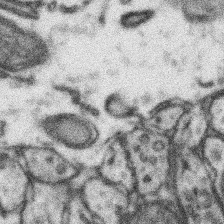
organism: Mouse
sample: Somatosensory cortex neuropil